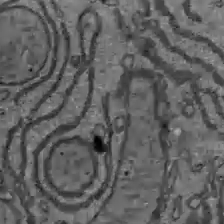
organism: C57BL Mouse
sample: Liver